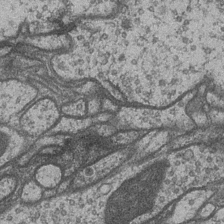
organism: Drosophila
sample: Optic medulla